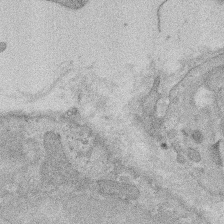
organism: Rat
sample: Salivary granule